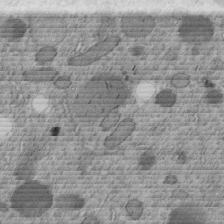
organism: C. elegans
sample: C. elegans embryo early stage